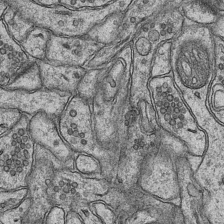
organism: Mouse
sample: CA1 Hippocampus